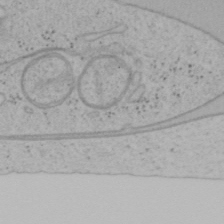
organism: Human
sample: HeLa cells